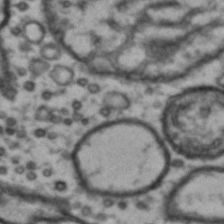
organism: Drosophila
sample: Brain